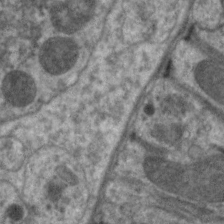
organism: C. elegans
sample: Pharynx